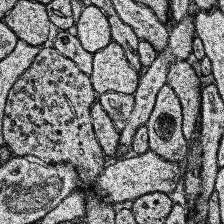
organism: Human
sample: Temporal Lobe